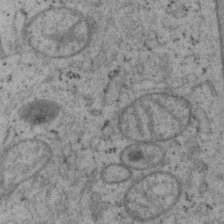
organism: Human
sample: HeLa cells